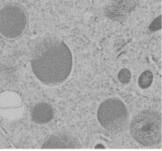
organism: C. elegans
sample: C. elegans embryo early stage